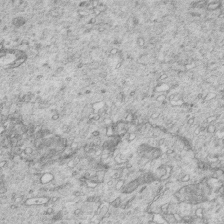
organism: Mouse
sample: Multiciliated cells